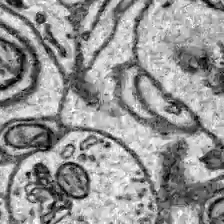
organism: Zebrafish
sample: Brain